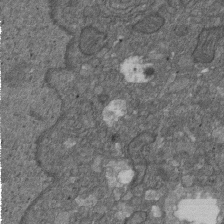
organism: Drosophila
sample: Nephrocyte